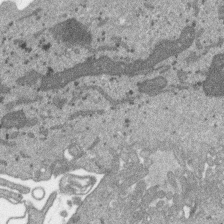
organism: Human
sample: Lung epithelial cells infected with SARS-CoV-2